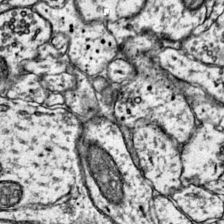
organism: Mouse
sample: Primary visual cortex